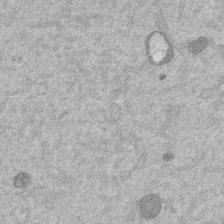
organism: Mouse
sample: Dividing mouse embryo 1 cell stage